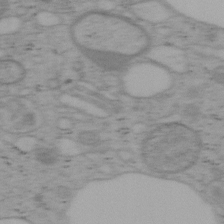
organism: Mouse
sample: OT-I killer T cells with ID8 ovarian cancer cells